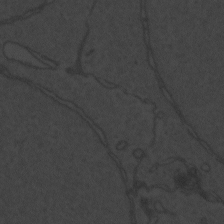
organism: Zebrafish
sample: Macrophage infected with Toxoplasma gondii